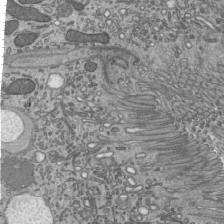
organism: Mouse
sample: Mouse epididymis efferent ductule cilia